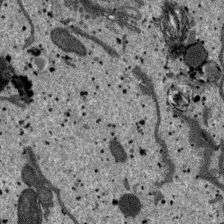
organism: Human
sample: Lung epithelial cells, uninfected (mock) control